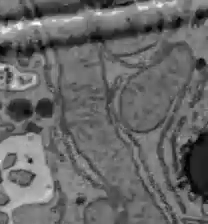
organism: C57BL Mouse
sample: Liver